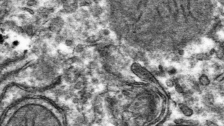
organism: Mouse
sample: Mouse hepatocytes